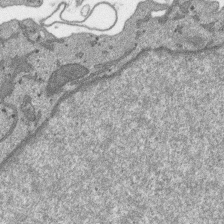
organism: Human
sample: Lung epithelial cells infected with SARS-CoV-2